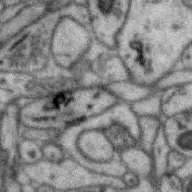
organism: Zebra finch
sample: Brain